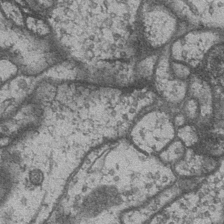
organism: Drosophila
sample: Optic medulla